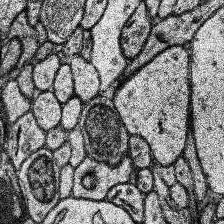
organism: Human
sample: Temporal Lobe